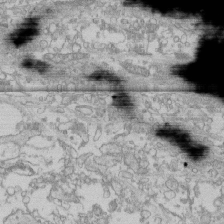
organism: Human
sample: CRL-1474